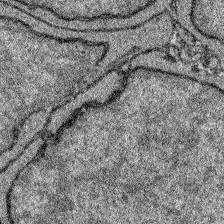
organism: Zebrafish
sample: Larval olfactory bulb